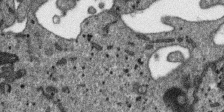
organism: Human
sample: Lung epithelial cells infected with SARS-CoV-2